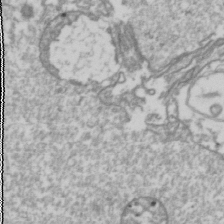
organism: Drosophila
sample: Cell division; meiosis; drosophila spermatocytes